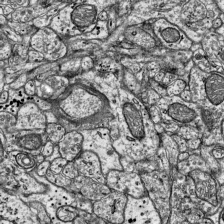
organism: Mouse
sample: Visual Cortex